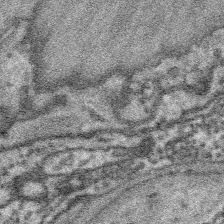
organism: Platynereis dumerilii